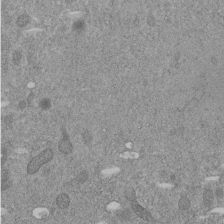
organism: C. elegans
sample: C. elegans embryo early stage